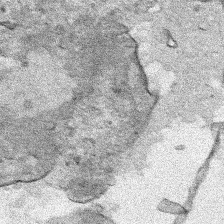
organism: Human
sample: Mitochondria in HCT116 cells